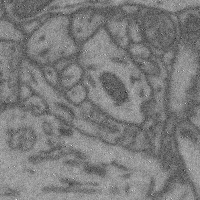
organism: Mouse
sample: Cerebral cortex